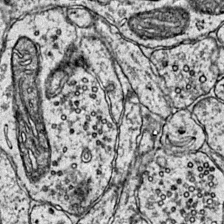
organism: Mouse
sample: Primary visual cortex